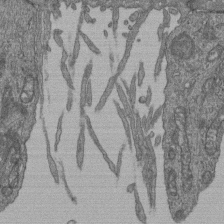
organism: Human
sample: Retinal organoid Rod and Cone cells